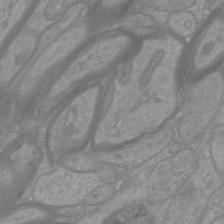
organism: Mouse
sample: Cortical neurons